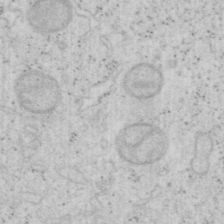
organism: Human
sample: HeLa cells